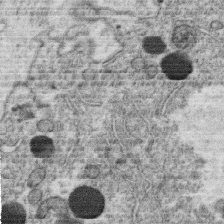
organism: C. elegans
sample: C. elegans oocyte; sperm cells